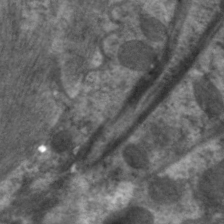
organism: C. elegans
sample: Pharynx